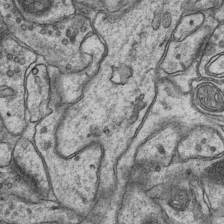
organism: Mouse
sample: CA1 Hippocampus